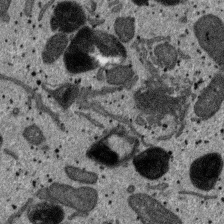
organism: Human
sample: Lung epithelial cells, uninfected (mock) control